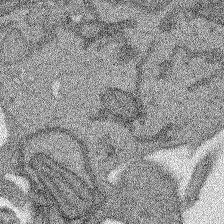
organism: Human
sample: HeLa cells